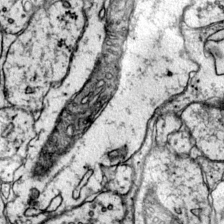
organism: Mouse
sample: Primary visual cortex